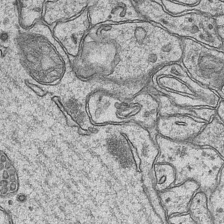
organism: Mouse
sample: CA1 Hippocampus